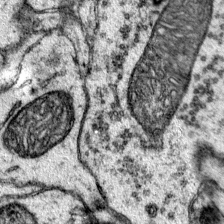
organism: Mouse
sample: Primary visual cortex